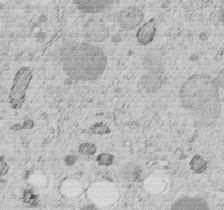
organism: C. elegans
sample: C. elegans embryo early stage